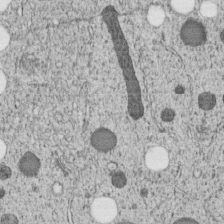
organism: C. elegans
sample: C. elegans embryo early stage